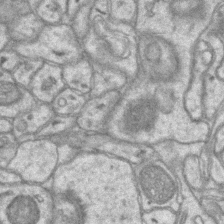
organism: Mouse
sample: CA1 Hippocampus